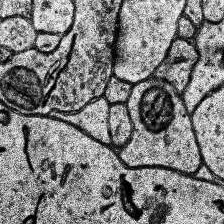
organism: Human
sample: Temporal Lobe